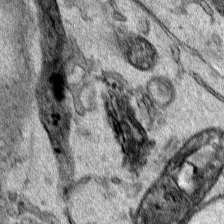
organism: Human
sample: Mitochondria in HCT116 cells